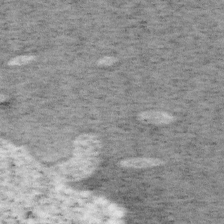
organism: Mouse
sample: OT-I killer T cells with ID8 ovarian cancer cells